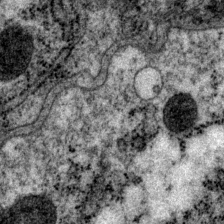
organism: P. pacificus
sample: Pharynx